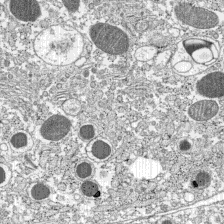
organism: C57BL Mouse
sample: Pancreatic islet